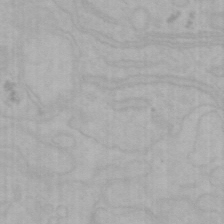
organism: Mouse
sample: Choroid plexus